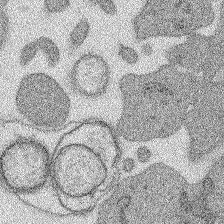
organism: Human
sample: HeLa cells